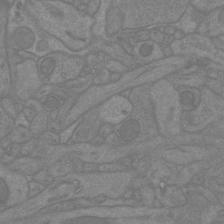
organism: Mouse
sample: Cortical neurons